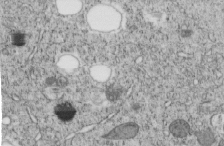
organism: C. elegans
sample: C. elegans embryo early stage